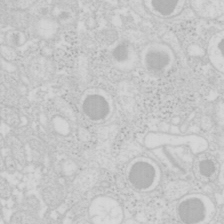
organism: Mouse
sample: Pancreas